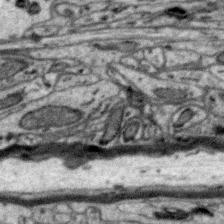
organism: Zebra finch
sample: Brain